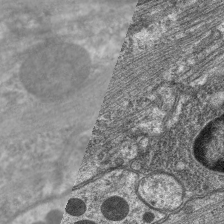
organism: C. elegans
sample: Pharynx